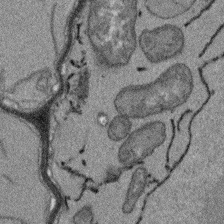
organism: Arabidopsis thaliana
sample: Root tip